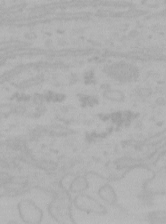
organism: Mouse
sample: Choroid plexus